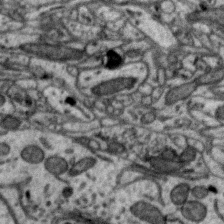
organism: Zebra finch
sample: Brain